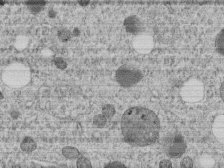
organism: C. elegans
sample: C. elegans embryo early stage